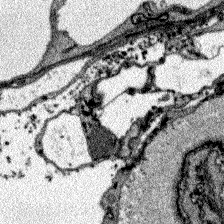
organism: Zebrafish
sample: Larval olfactory bulb